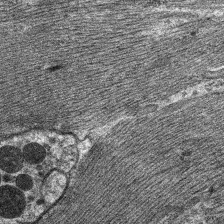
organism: C. elegans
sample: Pharynx